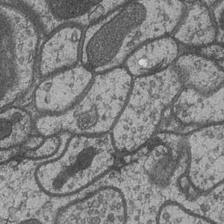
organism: Drosophila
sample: Optic medulla